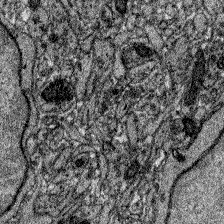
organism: Zebrafish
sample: Larval olfactory bulb